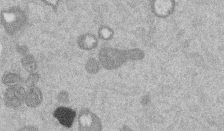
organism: Mouse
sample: Dividing mouse embryo 1 cell stage